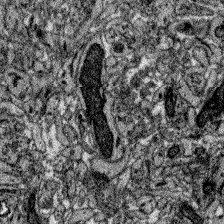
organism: Zebrafish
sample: Larval olfactory bulb